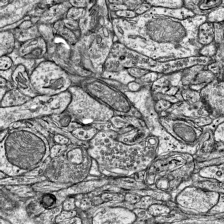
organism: Mouse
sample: Visual Cortex